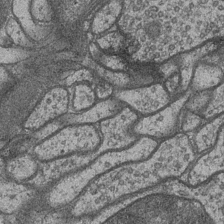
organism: Drosophila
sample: Optic medulla